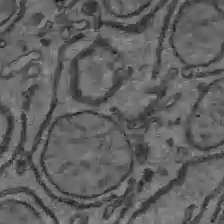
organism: C57BL Mouse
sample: Liver